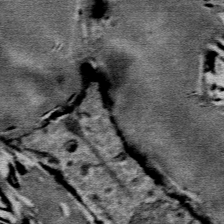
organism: Mouse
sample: Mouse Salivary gland